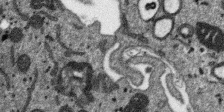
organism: Human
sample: Lung epithelial cells infected with SARS-CoV-2